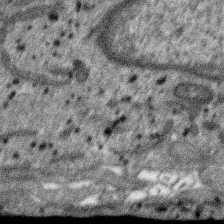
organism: Human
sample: Lung epithelial cells infected with SARS-CoV-2